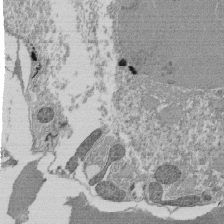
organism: Tetrahymena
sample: Cilia in tetrahymena